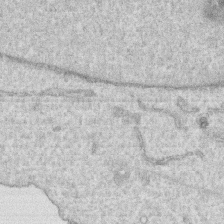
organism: Human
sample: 1205lu cells